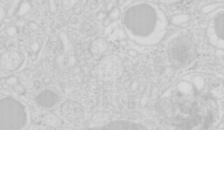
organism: Mouse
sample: Pancreas